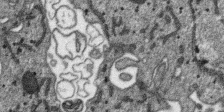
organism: Human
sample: Lung epithelial cells infected with SARS-CoV-2